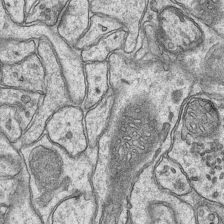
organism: Mouse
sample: CA1 Hippocampus